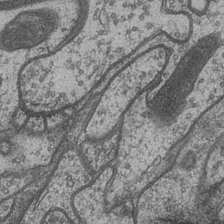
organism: Drosophila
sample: Optic medulla